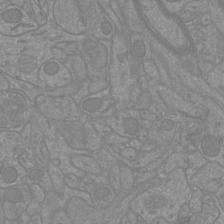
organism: Mouse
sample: Cortical neurons